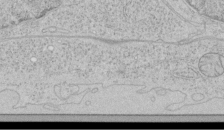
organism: Human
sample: Mitochondria in HCT116 cells